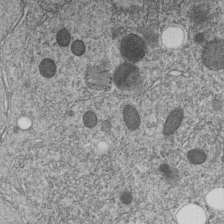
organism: C. elegans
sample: C. elegans embryo early stage